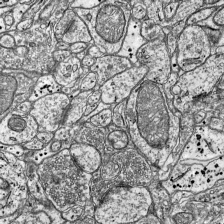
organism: Mouse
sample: Visual Cortex